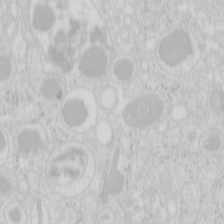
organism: Mouse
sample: Pancreas